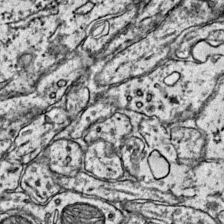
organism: Mouse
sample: Primary visual cortex